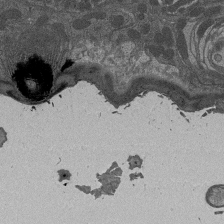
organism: Drosophila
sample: Antenna